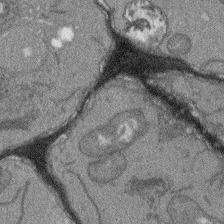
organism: Arabidopsis thaliana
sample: Root tip